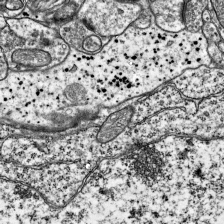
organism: Mouse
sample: Visual Cortex